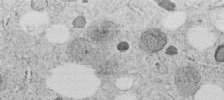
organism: C. elegans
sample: C. elegans embryo early stage